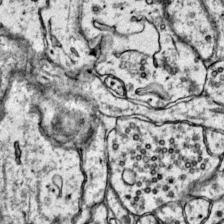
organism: Mouse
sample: Primary visual cortex